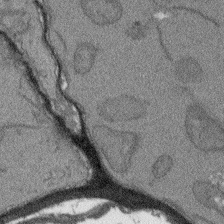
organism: Arabidopsis thaliana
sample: Root tip